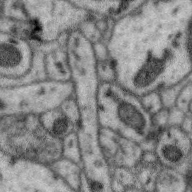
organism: Zebra finch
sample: Brain